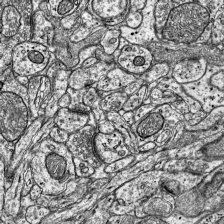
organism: Mouse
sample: Visual Cortex